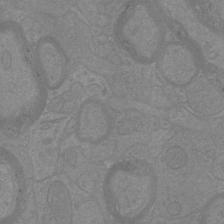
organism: Mouse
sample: Cortical neurons